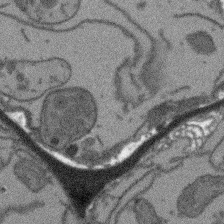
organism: Arabidopsis thaliana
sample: Root tip